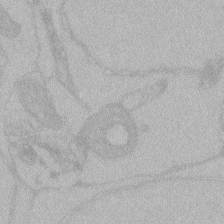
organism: Zebrafish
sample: Macrophage infected with Toxoplasma gondii